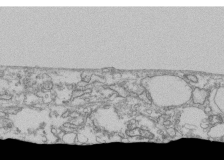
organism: Human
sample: Fibroblast cells